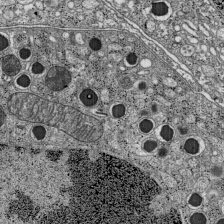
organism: C57BL Mouse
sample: Pancreatic islet